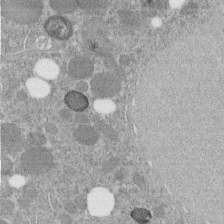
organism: C. elegans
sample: C. elegans embryo early stage